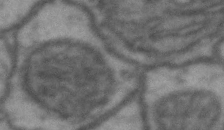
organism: Drosophila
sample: Brain